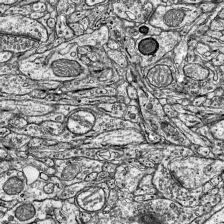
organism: Mouse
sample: Visual Cortex